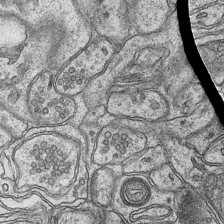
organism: Mouse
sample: CA1 Hippocampus